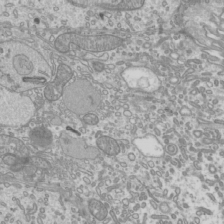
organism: Mouse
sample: Cilia; mouse epididymis